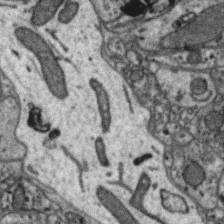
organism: Zebra finch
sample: Brain